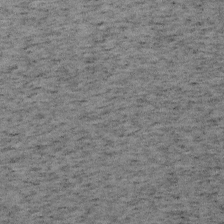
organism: Mouse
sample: OT-I killer T cells with ID8 ovarian cancer cells